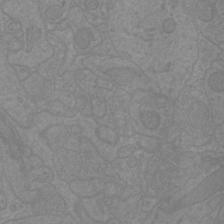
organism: Mouse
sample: Cortical neurons